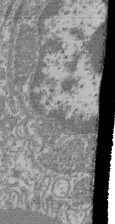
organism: Mouse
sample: Glomerulus